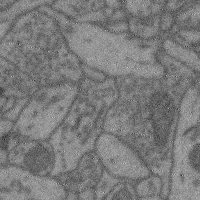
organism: Mouse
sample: Cerebral cortex